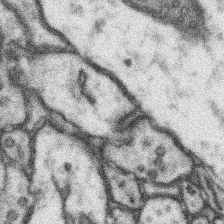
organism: Mouse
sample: Somatosensory cortex neuropil